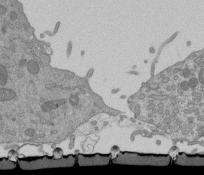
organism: Mouse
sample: ED-1 cell nuclei; centrioles